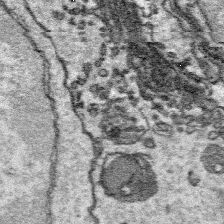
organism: Platynereis dumerilii